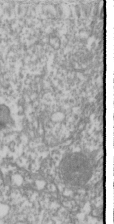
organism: Drosophila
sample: Cell division; meiosis; drosophila spermatocytes